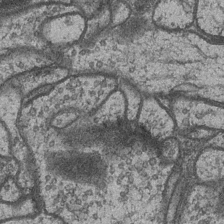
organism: Drosophila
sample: Optic medulla